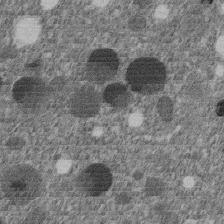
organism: C. elegans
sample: C. elegans embryo early stage